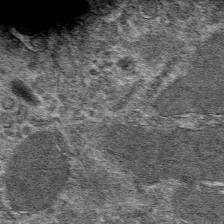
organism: Mouse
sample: Mouse hepatocytes